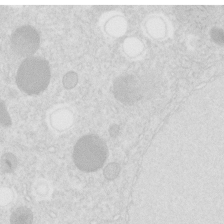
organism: C. elegans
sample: C. elegans embryo early stage